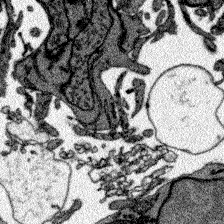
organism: Zebrafish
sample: Larval olfactory bulb